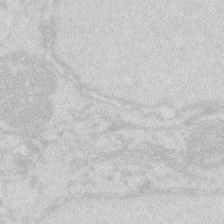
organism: Zebrafish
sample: Macrophage